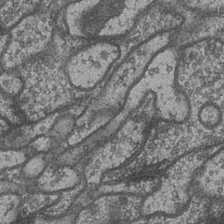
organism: Drosophila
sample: Optic medulla